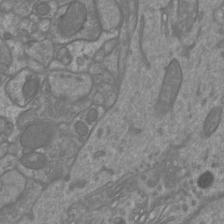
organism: Mouse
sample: Cortical neurons